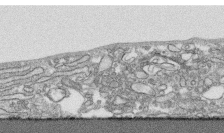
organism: Human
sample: CRL-1474